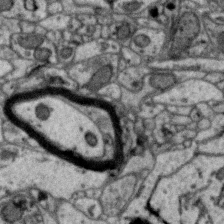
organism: Zebra finch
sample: Brain